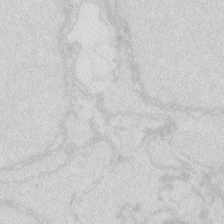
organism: Zebrafish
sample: Macrophage